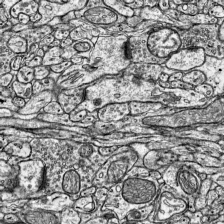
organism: Mouse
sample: Visual Cortex